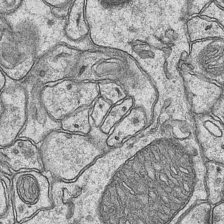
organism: Mouse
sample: CA1 Hippocampus